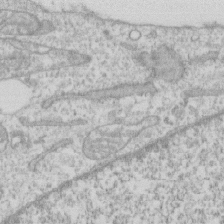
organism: Human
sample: CRL-1474